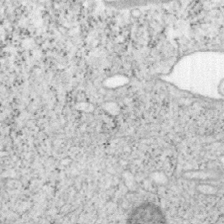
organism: Mouse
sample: OT-I killer T cells with ID8 ovarian cancer cells